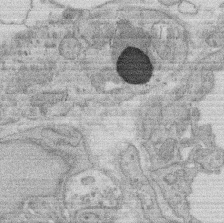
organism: Rat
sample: Salivary granule